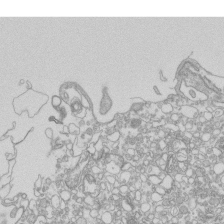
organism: Mouse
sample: Macrophages